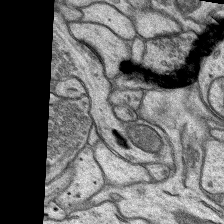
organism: Rat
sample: Hippocampus